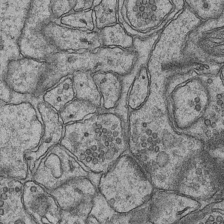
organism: Mouse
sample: CA1 Hippocampus